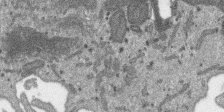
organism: Human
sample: Lung epithelial cells infected with SARS-CoV-2